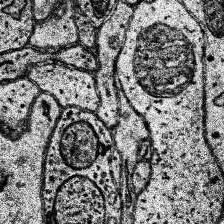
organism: Human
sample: Temporal Lobe